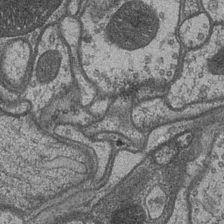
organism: Drosophila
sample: Optic medulla